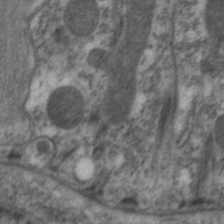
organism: C. elegans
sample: Pharynx